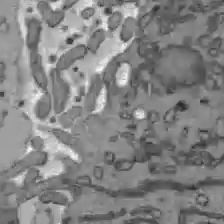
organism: C57BL Mouse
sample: Liver